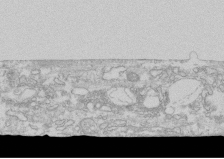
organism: Human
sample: CRL-1474